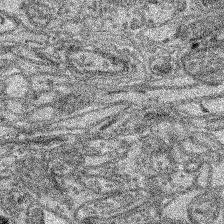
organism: Mouse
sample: Retina